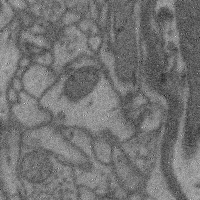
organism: Mouse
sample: Cerebral cortex